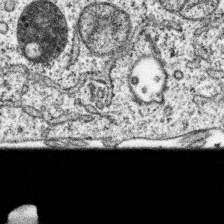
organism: Human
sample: HeLa cells